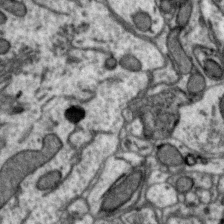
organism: Zebra finch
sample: Brain